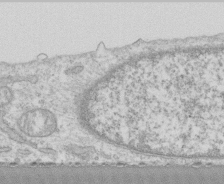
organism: Human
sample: CRL-1474